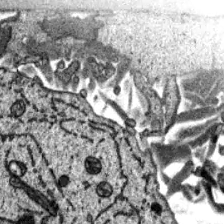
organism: Human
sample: HeLa cells